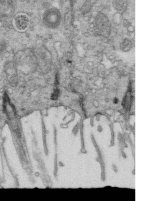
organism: Mouse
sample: Multiciliated cells